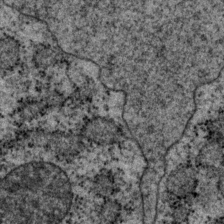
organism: P. pacificus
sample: Pharynx